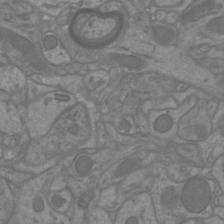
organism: Mouse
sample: Cortical neurons